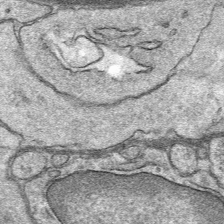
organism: Mouse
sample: Mouse Salivary gland